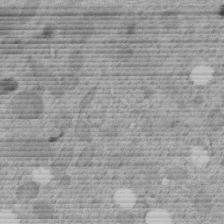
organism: C. elegans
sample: C. elegans embryo early stage